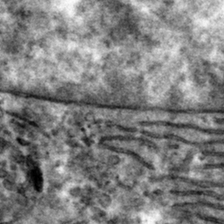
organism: Mouse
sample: Mouse hepatocytes